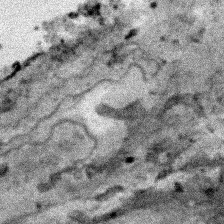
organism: Human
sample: Mitochondria in HCT116 cells